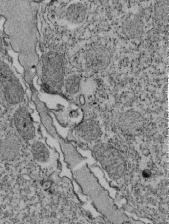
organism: Tetrahymena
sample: Cilia in tetrahymena